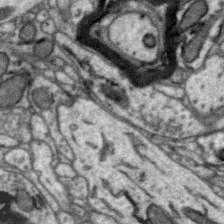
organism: Zebra finch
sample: Brain